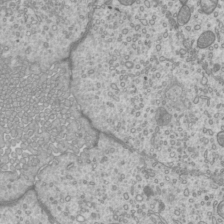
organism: Mouse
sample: Cilia; mouse epididymis